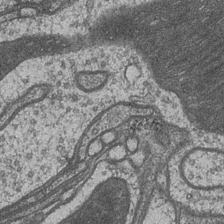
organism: Drosophila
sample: Optic medulla